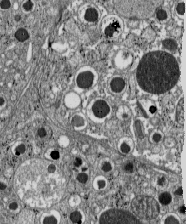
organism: C57BL Mouse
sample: Pancreatic islet